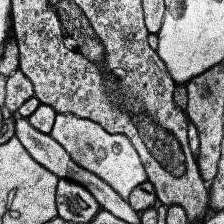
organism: Human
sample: Temporal Lobe